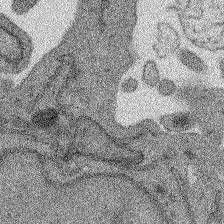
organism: Human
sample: HeLa cells